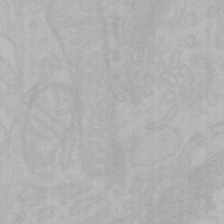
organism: Mouse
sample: Choroid plexus